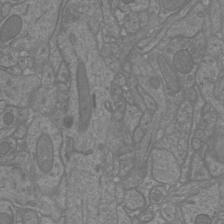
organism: Mouse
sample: Cortical neurons